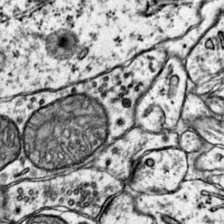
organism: Mouse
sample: Primary visual cortex